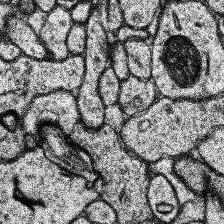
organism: Human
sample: Temporal Lobe